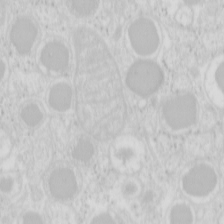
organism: Mouse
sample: Pancreas